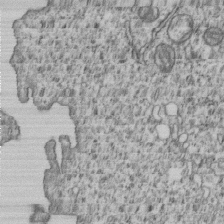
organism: Human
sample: MDA-MB-231 cells